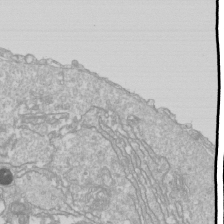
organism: Drosophila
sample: Cell division; meiosis; drosophila spermatocytes